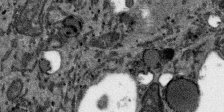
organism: Human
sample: Lung epithelial cells, uninfected (mock) control